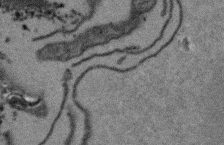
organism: Arabidopsis thaliana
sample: Root tip